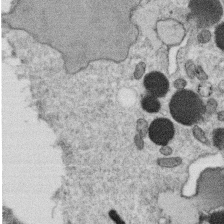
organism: C. elegans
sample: C. elegans oocyte; sperm cells